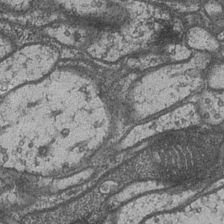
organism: Drosophila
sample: Optic medulla